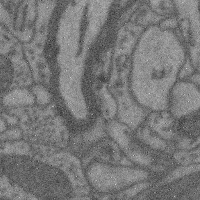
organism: Mouse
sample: Cerebral cortex